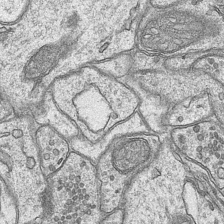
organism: Mouse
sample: CA1 Hippocampus